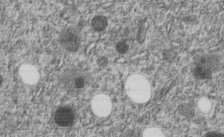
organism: C. elegans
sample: C. elegans embryo early stage